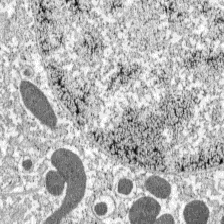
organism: C57BL Mouse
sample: Pancreatic islet